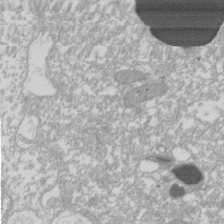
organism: Xenopus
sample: Cilia; centrioles in frog embryo cells